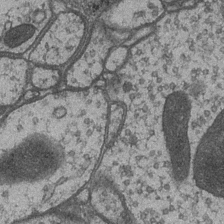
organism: Drosophila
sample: Optic medulla